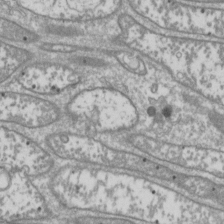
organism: Drosophila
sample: Cell division; meiosis; drosophila spermatocytes